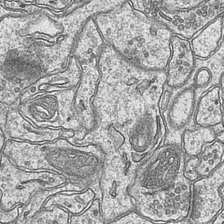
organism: Mouse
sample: CA1 Hippocampus